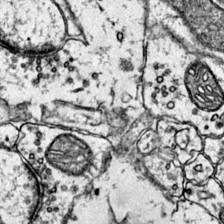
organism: Mouse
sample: Primary visual cortex